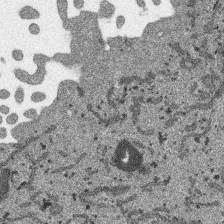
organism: Human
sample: Lung epithelial cells infected with SARS-CoV-2